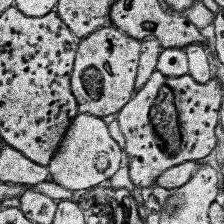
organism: Human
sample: Temporal Lobe